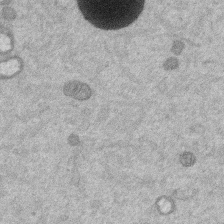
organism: Mouse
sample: Dividing mouse embryo 1 cell stage